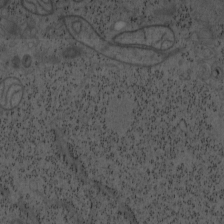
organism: Mouse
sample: OT-I killer T cells with ID8 ovarian cancer cells